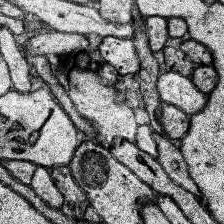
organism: Human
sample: Temporal Lobe